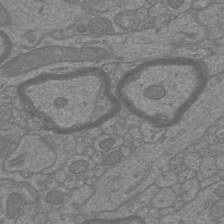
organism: Mouse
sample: Cortical neurons